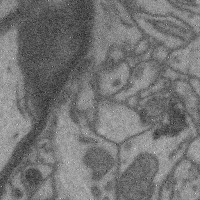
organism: Mouse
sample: Cerebral cortex